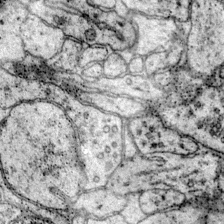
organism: Mouse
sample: Primary visual cortex